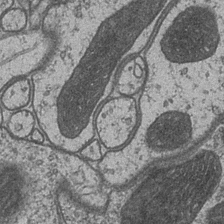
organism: Drosophila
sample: Optic medulla